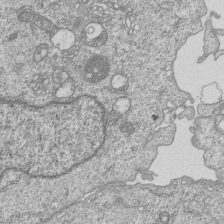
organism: Human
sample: MDA-MB-231 cells